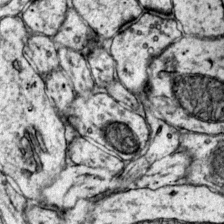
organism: Mouse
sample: Primary visual cortex